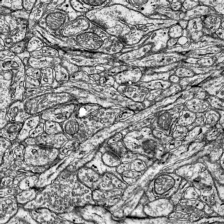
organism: Mouse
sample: Visual Cortex